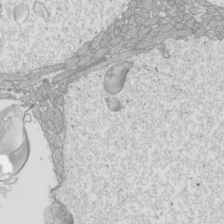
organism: Mouse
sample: Cilia; mouse epididymis